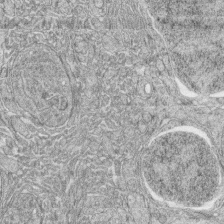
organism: Zebrafish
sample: synaptic ribbons in rod cells and cone cells